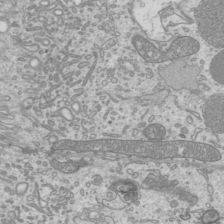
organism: Mouse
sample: Cilia; mouse epididymis